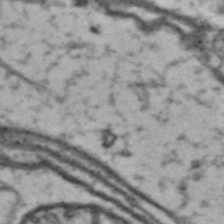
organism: Drosophila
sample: Brain